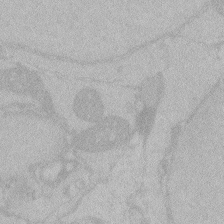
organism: Zebrafish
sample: Macrophage infected with Toxoplasma gondii